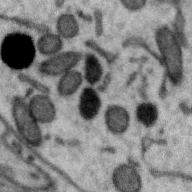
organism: Zebra finch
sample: Brain